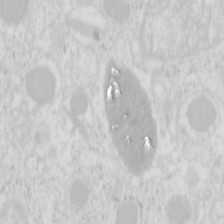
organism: Mouse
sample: Pancreas